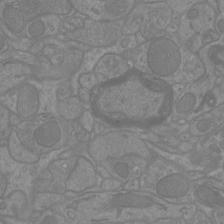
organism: Mouse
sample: Cortical neurons